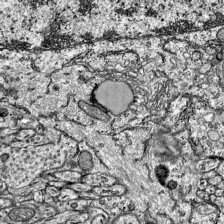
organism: Mouse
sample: Visual Cortex